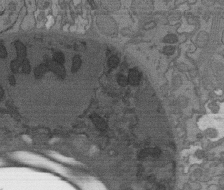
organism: C. elegans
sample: AFD neurons C. elegans